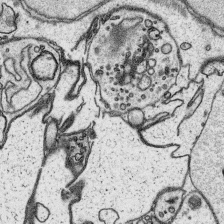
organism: Platynereis dumerilii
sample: Parapodia